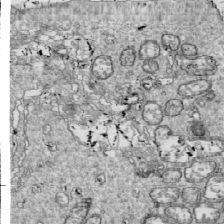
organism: Drosophila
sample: Cell division; meiosis; drosophila spermatocytes